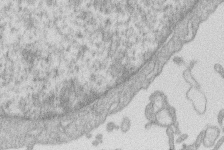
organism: Human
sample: Macrophage cells